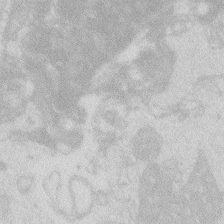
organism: Zebrafish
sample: Macrophage